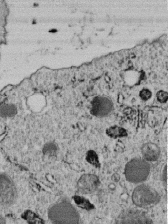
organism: C. elegans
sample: C. elegans embryo early stage